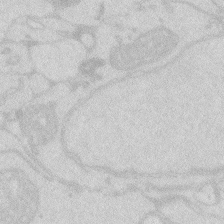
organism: Zebrafish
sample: Macrophage